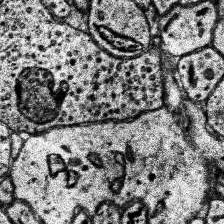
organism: Human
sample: Temporal Lobe